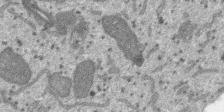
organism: Human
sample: Lung epithelial cells infected with SARS-CoV-2